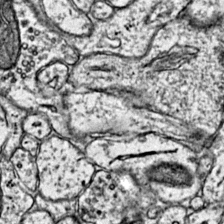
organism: Mouse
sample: Primary visual cortex